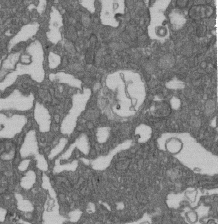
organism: Drosophila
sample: Nephrocyte